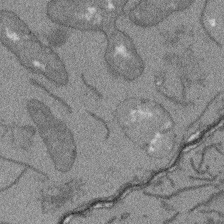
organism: Arabidopsis thaliana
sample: Root tip